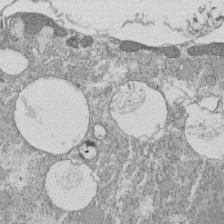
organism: Tetrahymena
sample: Cilia in tetrahymena